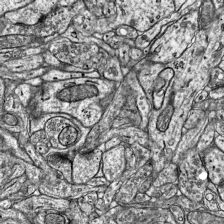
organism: Mouse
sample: Visual Cortex